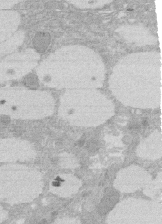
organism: Rat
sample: Salivary granule